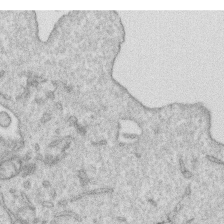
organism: Human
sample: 1205lu cells